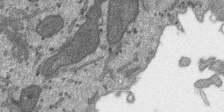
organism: Human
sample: Lung epithelial cells infected with SARS-CoV-2